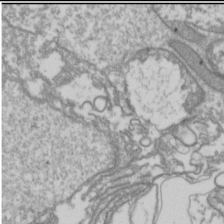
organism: Drosophila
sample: Cell division; meiosis; drosophila spermatocytes